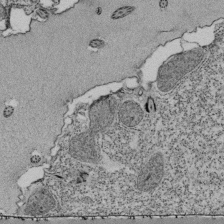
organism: Tetrahymena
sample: Cilia in tetrahymena